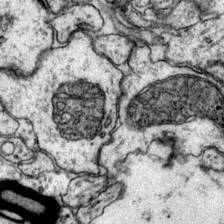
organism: Mouse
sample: Primary visual cortex